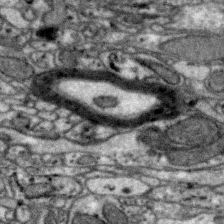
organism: Zebra finch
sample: Brain